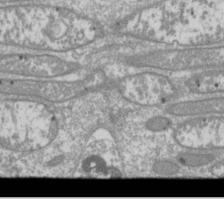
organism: Drosophila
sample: Cell division; meiosis; drosophila spermatocytes